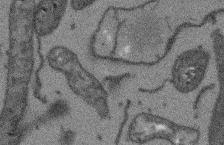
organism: Arabidopsis thaliana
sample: Root tip